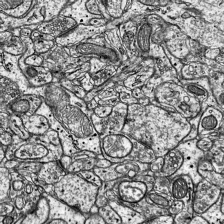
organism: Mouse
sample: Visual Cortex